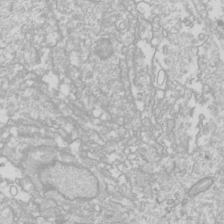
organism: Drosophila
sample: Cell division; meiosis; drosophila spermatocytes